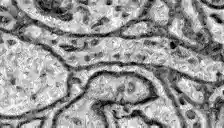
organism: Zebrafish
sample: Brain